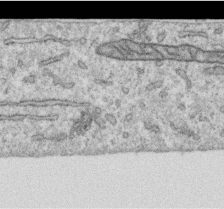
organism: Human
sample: Centriole in RPE cells